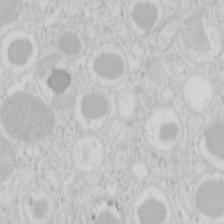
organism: Mouse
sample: Pancreas